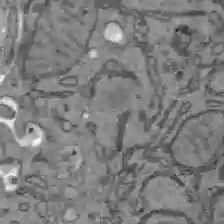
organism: C57BL Mouse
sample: Liver